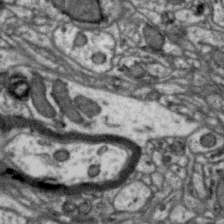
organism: Zebra finch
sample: Brain